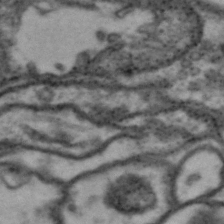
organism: Drosophila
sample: Brain